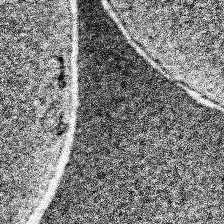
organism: Human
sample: Temporal Lobe